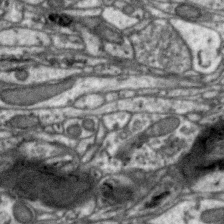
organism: Zebra finch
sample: Brain